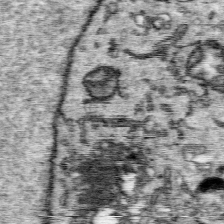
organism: Human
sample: HeLa cells